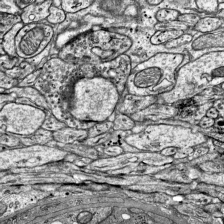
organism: Mouse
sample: Visual Cortex